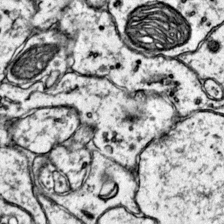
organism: Mouse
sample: Primary visual cortex